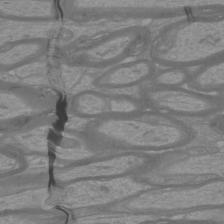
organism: Mouse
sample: Cortical neurons